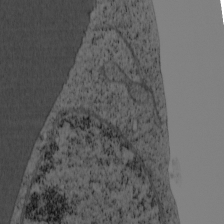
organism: African green monkey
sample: COS-7 cells